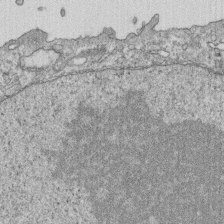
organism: Human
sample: HeLa cell HIV synapse